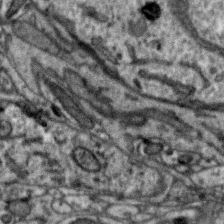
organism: Zebra finch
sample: Brain